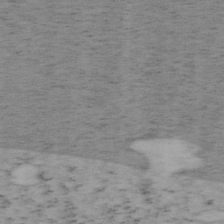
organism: Mouse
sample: OT-I killer T cells with ID8 ovarian cancer cells